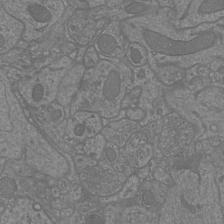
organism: Mouse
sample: Cortical neurons